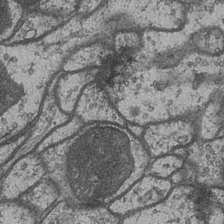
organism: Drosophila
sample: Optic medulla